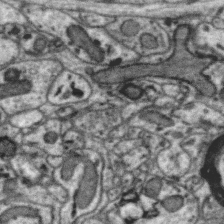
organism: Zebra finch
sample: Brain